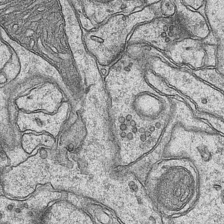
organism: Mouse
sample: CA1 Hippocampus